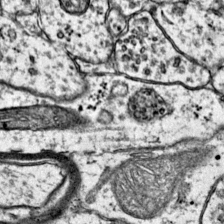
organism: Mouse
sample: Primary visual cortex